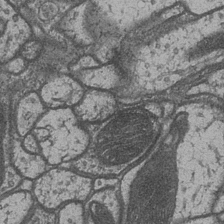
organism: Drosophila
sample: Optic medulla